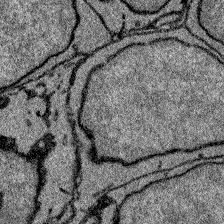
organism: Zebrafish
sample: Larval olfactory bulb